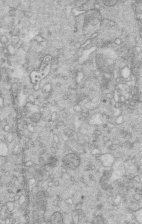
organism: Mouse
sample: Multiciliated cells